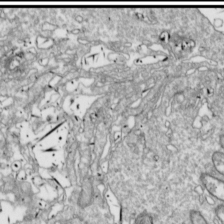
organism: Drosophila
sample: Cell division; meiosis; drosophila spermatocytes